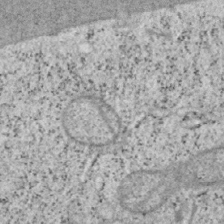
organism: Mouse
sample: OT-I killer T cells with ID8 ovarian cancer cells